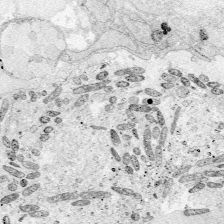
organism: Zebrafish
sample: Whole-Brain